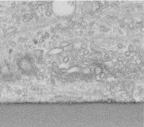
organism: Human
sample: Centriole in fibroblast cells